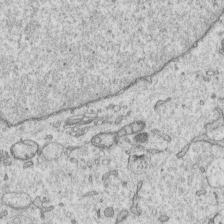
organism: Human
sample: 1205lu cells